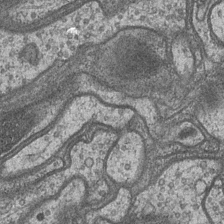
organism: Drosophila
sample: Optic medulla